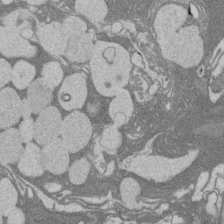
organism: Rat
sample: Salivary granule